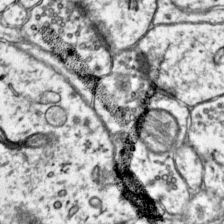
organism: Mouse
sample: Primary visual cortex